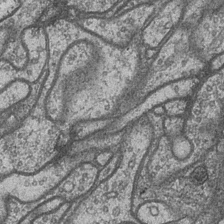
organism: Drosophila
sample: Optic medulla